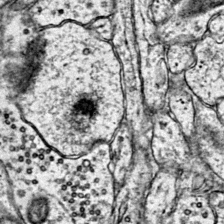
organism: Mouse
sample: Primary visual cortex